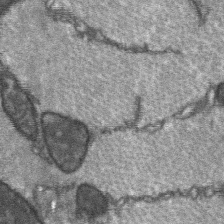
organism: C57BL Mouse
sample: Soleus